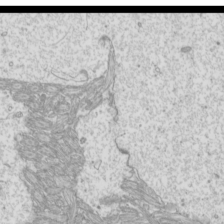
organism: Mouse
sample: Cilia; mouse epididymis